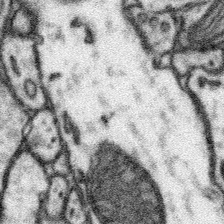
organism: Mouse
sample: Somatosensory cortex neuropil